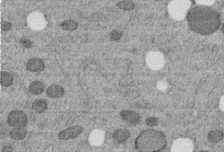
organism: C. elegans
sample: C. elegans embryo early stage